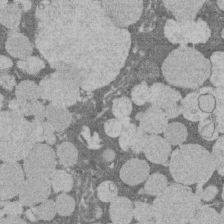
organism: Rat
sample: Salivary granule